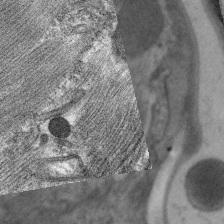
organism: C. elegans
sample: Pharynx